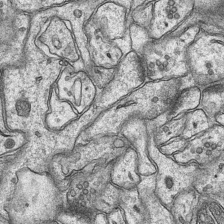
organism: Mouse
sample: CA1 Hippocampus